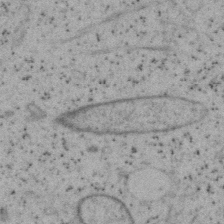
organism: Human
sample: HeLa cells